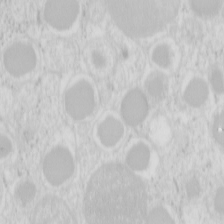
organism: Mouse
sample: Pancreas